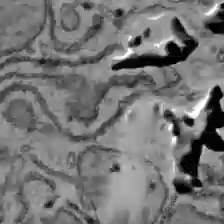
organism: C57BL Mouse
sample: Liver